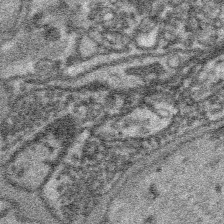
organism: Platynereis dumerilii